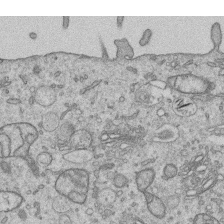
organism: Human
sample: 1205lu cells